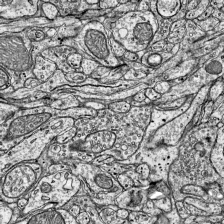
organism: Mouse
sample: Visual Cortex